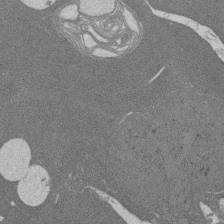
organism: Rat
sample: Salivary granule